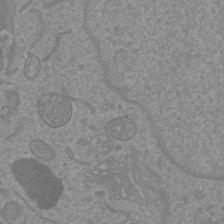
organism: Mouse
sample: Cortical neurons